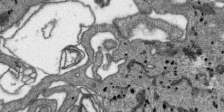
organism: Human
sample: Lung epithelial cells, uninfected (mock) control